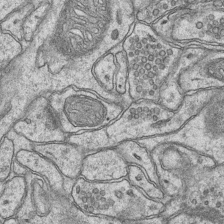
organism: Mouse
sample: CA1 Hippocampus